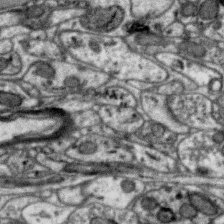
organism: Zebra finch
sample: Brain